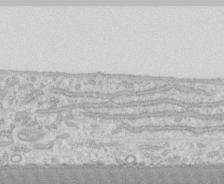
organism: Human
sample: CRL-1474